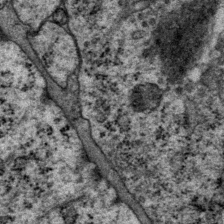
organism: P. pacificus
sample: Pharynx